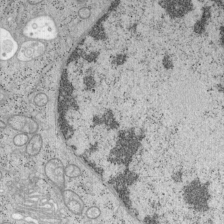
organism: Mouse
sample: OT-I killer T cells with ID8 ovarian cancer cells